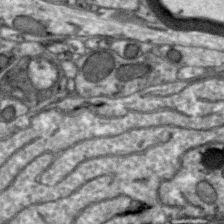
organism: Zebra finch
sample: Brain